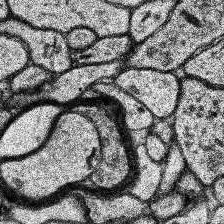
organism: Human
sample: Temporal Lobe